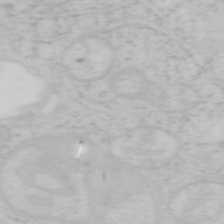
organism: Mouse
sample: OT-I killer T cells with ID8 ovarian cancer cells